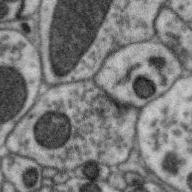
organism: Zebra finch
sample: Brain